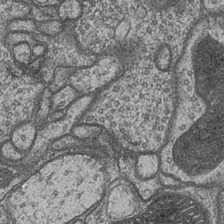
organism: Drosophila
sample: Optic medulla